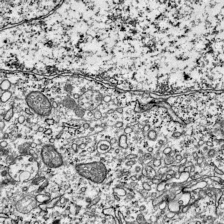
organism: Mouse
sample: Visual Cortex